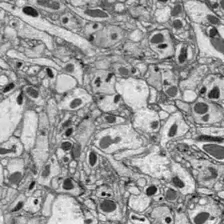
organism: Drosophila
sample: Optic lobe